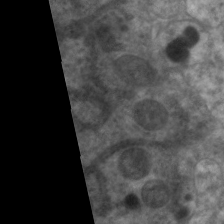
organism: C. elegans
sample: Pharynx